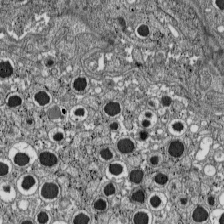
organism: C57BL Mouse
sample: Pancreatic islet